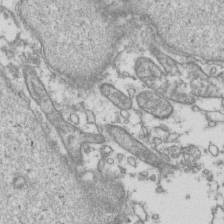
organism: Human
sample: Activated Jurkat CD4+ T cells